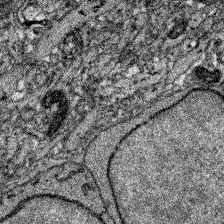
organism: Zebrafish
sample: Larval olfactory bulb